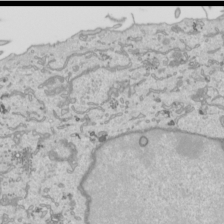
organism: Human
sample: Mitochondria in HCT116 cells